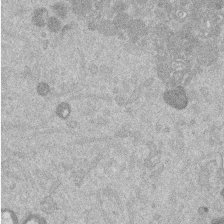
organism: Mouse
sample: Dividing mouse embryo 1 cell stage